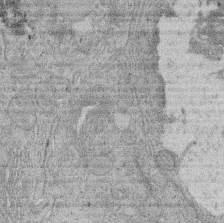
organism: Rat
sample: Salivary granule